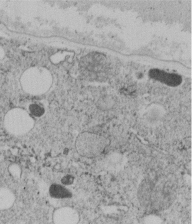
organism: C. elegans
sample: C. elegans embryo early stage